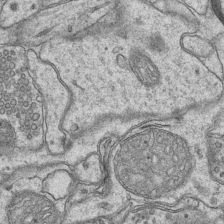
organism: Mouse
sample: CA1 Hippocampus